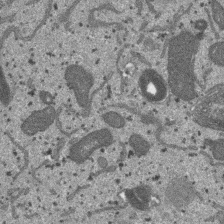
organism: Human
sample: Lung epithelial cells infected with SARS-CoV-2